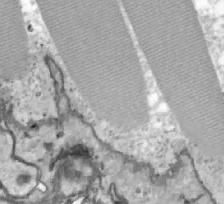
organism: Zebrafish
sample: Actinotrichia fibers